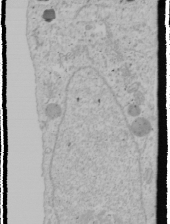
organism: Human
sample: Mitochondria in U2OS cells